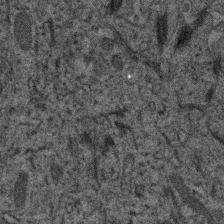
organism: Human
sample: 1205lu cells